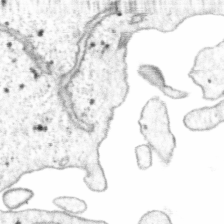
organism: Human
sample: HeLa cells